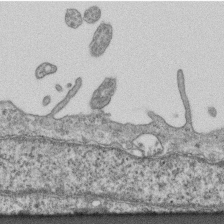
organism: Mouse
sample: Centriole in ependymal cells